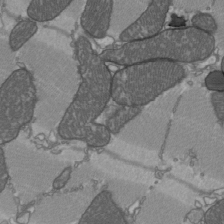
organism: C57BL Mouse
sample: Heart